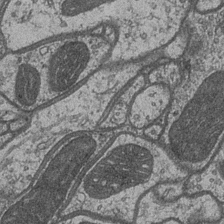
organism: Drosophila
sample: Optic medulla